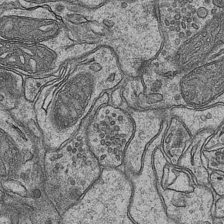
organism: Mouse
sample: CA1 Hippocampus